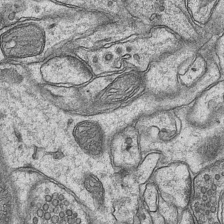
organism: Mouse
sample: CA1 Hippocampus